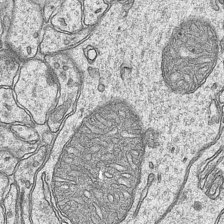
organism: Mouse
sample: CA1 Hippocampus